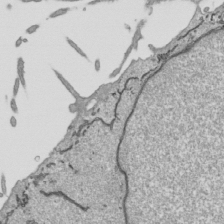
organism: Human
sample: Mitochondria in HCT116 cells